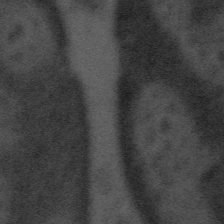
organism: Tuwongella immobilis